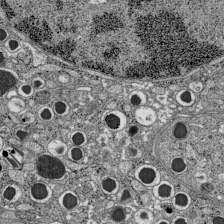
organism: C57BL Mouse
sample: Pancreatic islet